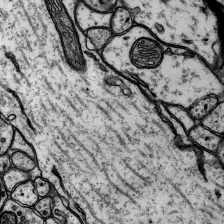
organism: Rat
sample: Hippocampus